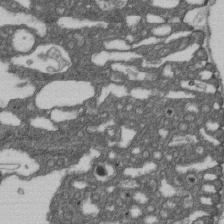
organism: Drosophila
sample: Nephrocyte